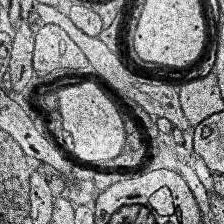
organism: Human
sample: Temporal Lobe